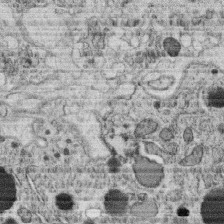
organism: C. elegans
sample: C. elegans oocyte; sperm cells